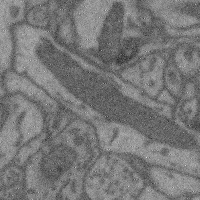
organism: Mouse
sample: Cerebral cortex